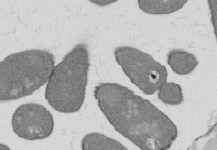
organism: B. subtilis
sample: Bacterial spore